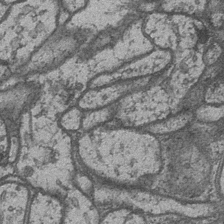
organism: Drosophila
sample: Optic medulla